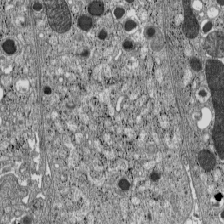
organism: C57BL Mouse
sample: Pancreatic islet